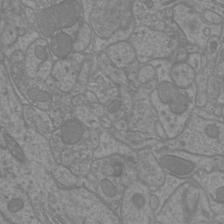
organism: Mouse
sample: Cortical neurons